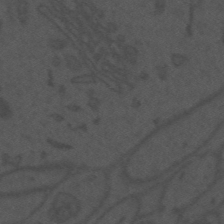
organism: Mouse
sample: Suprachiasmatic nucleus